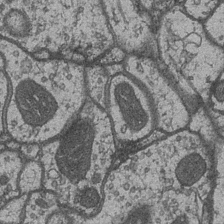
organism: Drosophila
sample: Optic medulla